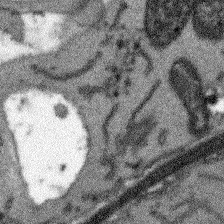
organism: Arabidopsis thaliana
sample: Root tip